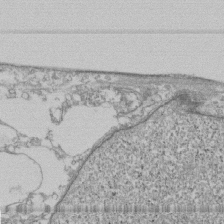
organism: Human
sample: Fibroblast cells